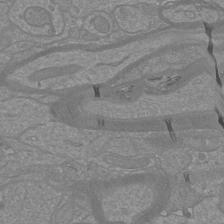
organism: Mouse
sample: Cortical neurons